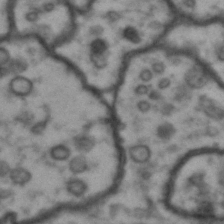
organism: Drosophila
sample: Brain